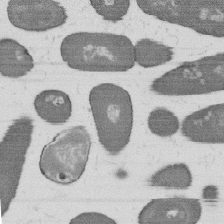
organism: B. subtilis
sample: Bacterial spore